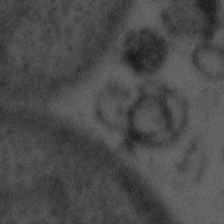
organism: Tuwongella immobilis